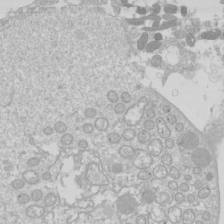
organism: Drosophila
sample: Cell division; meiosis; drosophila spermatocytes